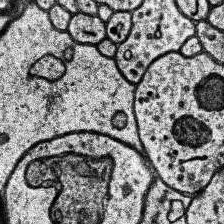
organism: Human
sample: Temporal Lobe